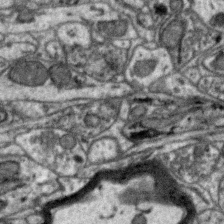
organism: Zebra finch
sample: Brain